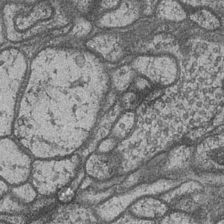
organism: Drosophila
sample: Optic medulla